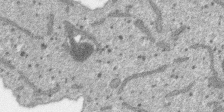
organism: Human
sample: Lung epithelial cells infected with SARS-CoV-2